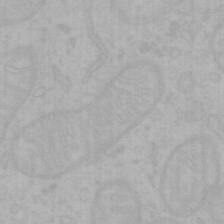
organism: Mouse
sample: Choroid plexus